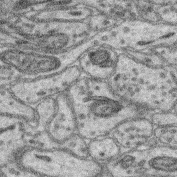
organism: Mouse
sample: Retina